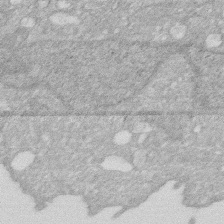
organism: Human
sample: HIV infected U937 cells